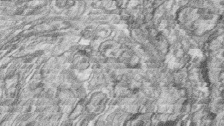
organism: Zebrafish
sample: synaptic ribbons in rod cells and cone cells